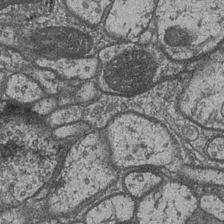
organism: Drosophila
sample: Optic medulla